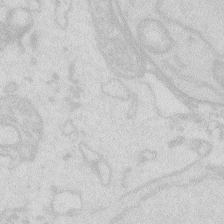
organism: Zebrafish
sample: Macrophage